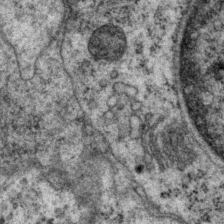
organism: P. pacificus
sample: Pharynx